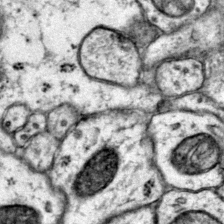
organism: Mouse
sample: Primary visual cortex